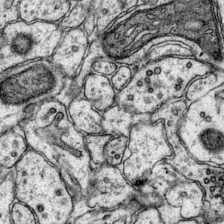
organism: Mouse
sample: Primary visual cortex